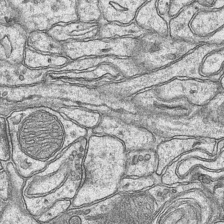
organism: Mouse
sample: CA1 Hippocampus